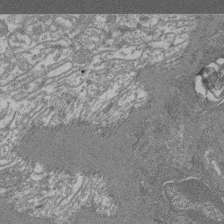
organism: Mouse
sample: Glomerulus